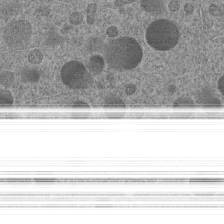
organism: C. elegans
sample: C. elegans embryo early stage